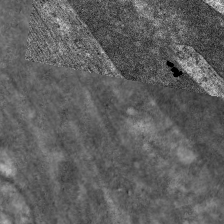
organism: C. elegans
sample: Pharynx